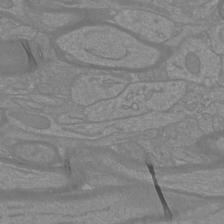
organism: Mouse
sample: Cortical neurons